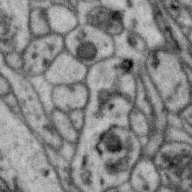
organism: Zebra finch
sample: Brain